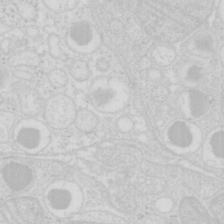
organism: Mouse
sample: Pancreas